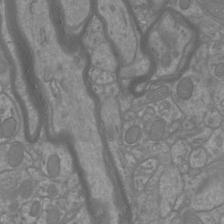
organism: Mouse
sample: Cortical neurons